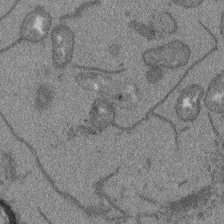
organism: Arabidopsis thaliana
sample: Root tip